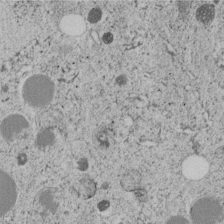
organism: C. elegans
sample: C. elegans embryo early stage